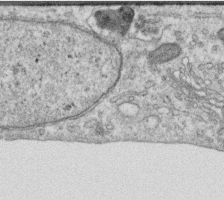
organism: Human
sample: Centriole in RPE cells